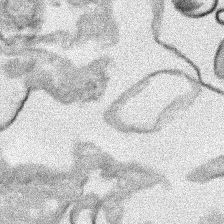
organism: Human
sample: Mitochondria in HCT116 cells